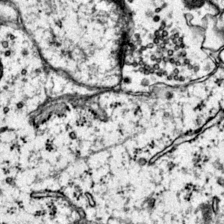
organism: Mouse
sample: Primary visual cortex